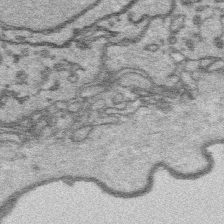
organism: Platynereis dumerilii